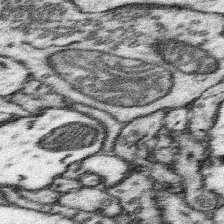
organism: Mouse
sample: Somatosensory cortex neuropil